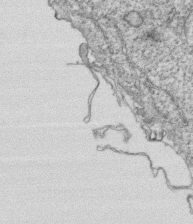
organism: Human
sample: HeLa cell HIV synapse